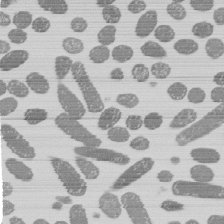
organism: E. coli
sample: Bacterial nucleoid